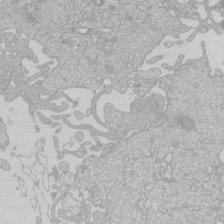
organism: Human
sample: Macrophage cells